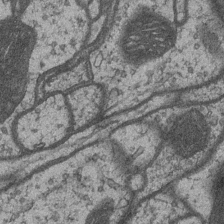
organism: Drosophila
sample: Optic medulla